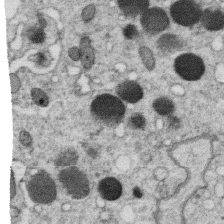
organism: C. elegans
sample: C. elegans oocyte; sperm cells